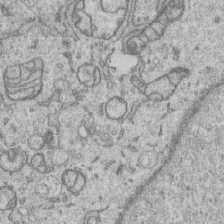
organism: Human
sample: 1205lu cells